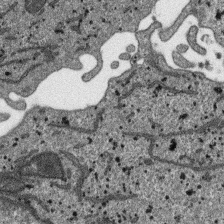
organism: Human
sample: Lung epithelial cells infected with SARS-CoV-2